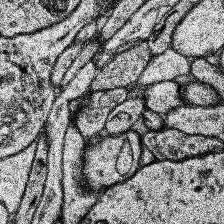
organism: Human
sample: Temporal Lobe